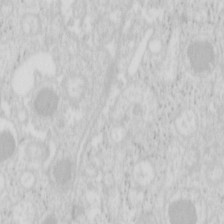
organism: Mouse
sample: Pancreas